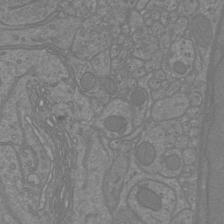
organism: Mouse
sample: Cortical neurons